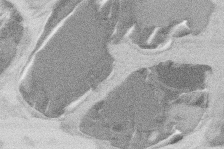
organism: Mouse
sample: T cell stromal cell synapse